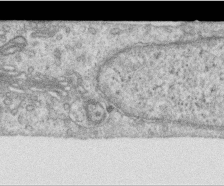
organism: Human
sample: Centriole in RPE cells